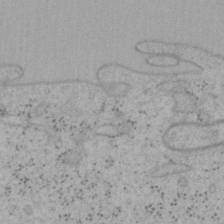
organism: Human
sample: HeLa cells